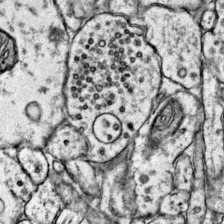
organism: Mouse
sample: Primary visual cortex